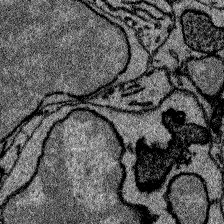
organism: Zebrafish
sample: Larval olfactory bulb